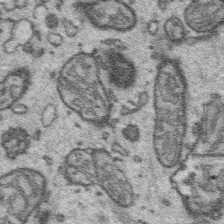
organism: Platynereis dumerilii